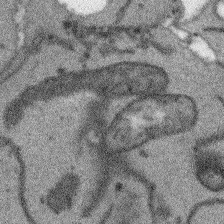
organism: Arabidopsis thaliana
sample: Root tip